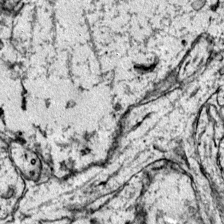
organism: Mouse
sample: Primary visual cortex